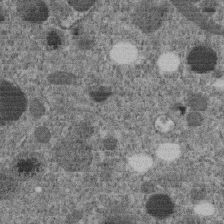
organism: C. elegans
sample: C. elegans embryo early stage